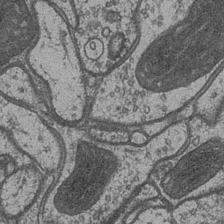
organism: Drosophila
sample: Optic medulla